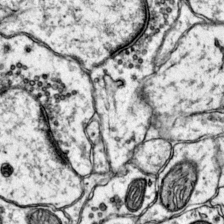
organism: Mouse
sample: Primary visual cortex